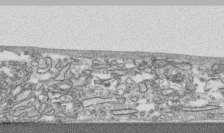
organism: Human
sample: CRL-1474